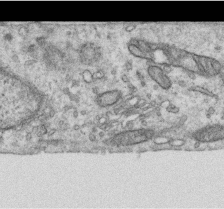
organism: Human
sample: Centriole in RPE cells